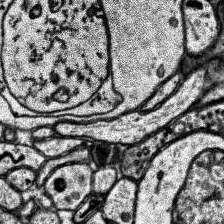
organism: Human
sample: Temporal Lobe